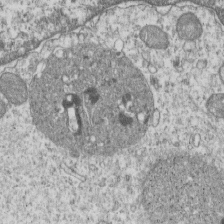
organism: Human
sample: MDA-MB-231 cells